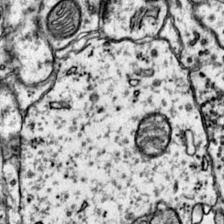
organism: Mouse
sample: Primary visual cortex